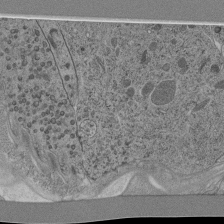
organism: C. elegans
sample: C. elegans pharynx